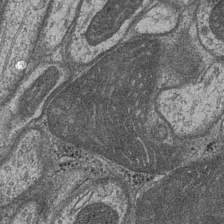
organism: Drosophila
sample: Optic medulla